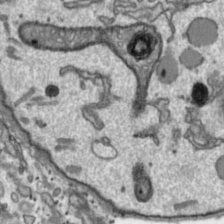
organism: Toxoplasma gondii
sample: Parasites in a vacuole inside a host cell